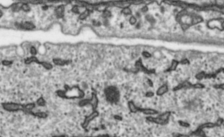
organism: Toxoplasma gondii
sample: Parasites in a vacuole inside a host cell